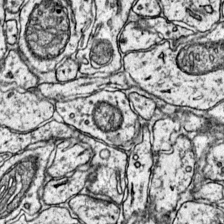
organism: Mouse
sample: Primary visual cortex